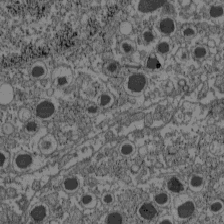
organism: C57BL Mouse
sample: Pancreatic islet